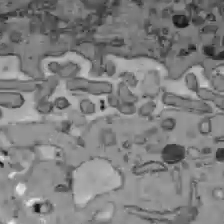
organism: C57BL Mouse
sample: Liver